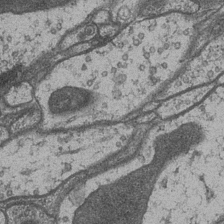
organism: Drosophila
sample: Optic medulla